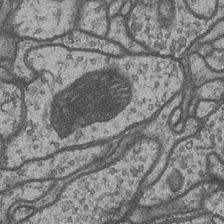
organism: Drosophila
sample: Optic medulla